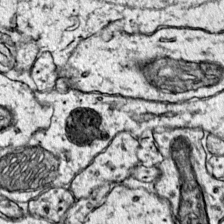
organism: Mouse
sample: Primary visual cortex